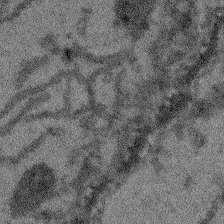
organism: Arabidopsis thaliana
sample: Root tip